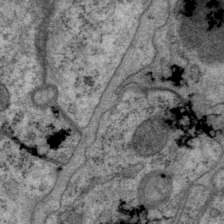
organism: P. pacificus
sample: Pharynx